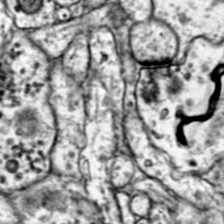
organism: Mouse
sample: Primary visual cortex